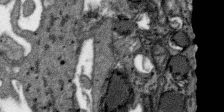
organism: Human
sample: Lung epithelial cells, uninfected (mock) control